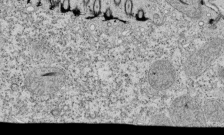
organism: Tetrahymena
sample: Cilia in tetrahymena